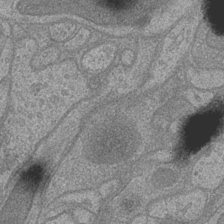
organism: Drosophila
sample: Optic medulla